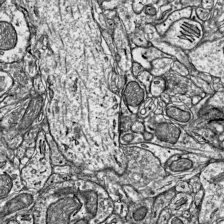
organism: Mouse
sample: Visual Cortex